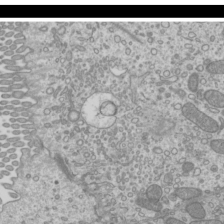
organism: Mouse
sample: Cilia; mouse epididymis